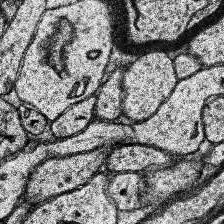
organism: Human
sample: Temporal Lobe